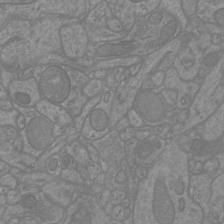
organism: Mouse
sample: Cortical neurons